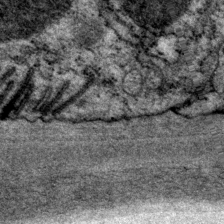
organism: P. pacificus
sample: Pharynx